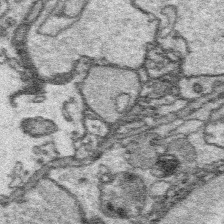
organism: Platynereis dumerilii